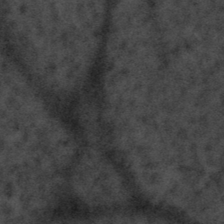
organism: Tuwongella immobilis